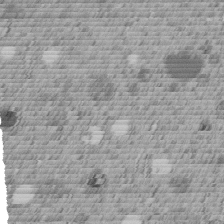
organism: C. elegans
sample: C. elegans embryo early stage